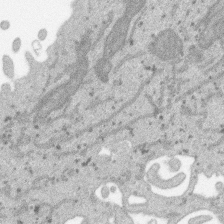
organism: Human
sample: Lung epithelial cells infected with SARS-CoV-2